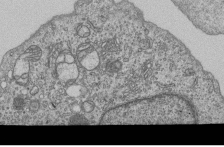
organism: Human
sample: MDA-MB-231 cells